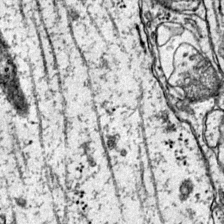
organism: Mouse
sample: Primary visual cortex